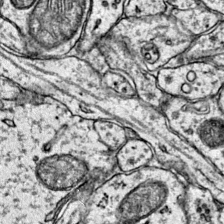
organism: Mouse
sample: Primary visual cortex